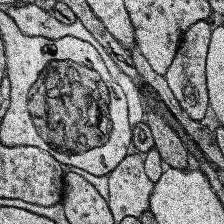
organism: Human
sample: Temporal Lobe